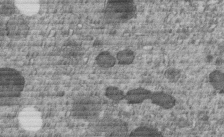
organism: C. elegans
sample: C. elegans embryo early stage